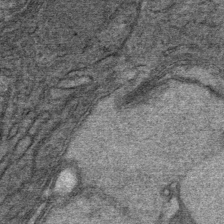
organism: Mouse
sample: Mouse Salivary gland